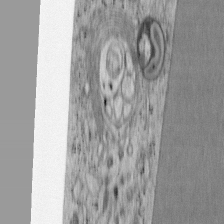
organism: Human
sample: HeLa cells